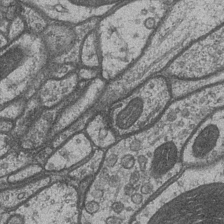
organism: Drosophila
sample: Optic medulla